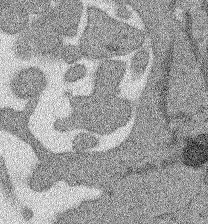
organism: Human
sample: HeLa cells